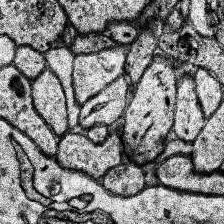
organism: Human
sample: Temporal Lobe